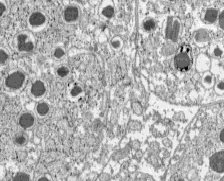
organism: C57BL Mouse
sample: Pancreatic islet